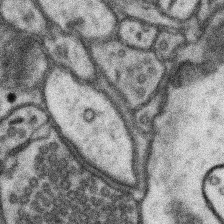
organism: Mouse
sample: Somatosensory cortex neuropil